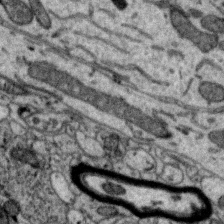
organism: Zebra finch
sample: Brain